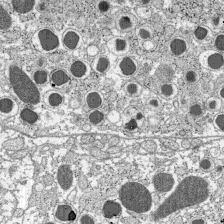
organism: C57BL Mouse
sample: Pancreatic islet